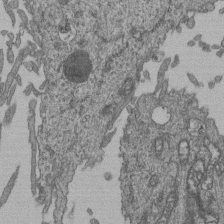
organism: Human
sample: Retinal organoid Rod and Cone cells